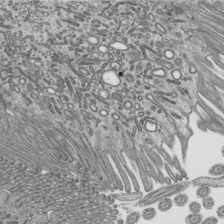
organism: Mouse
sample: Mouse epididymis efferent ductule cilia